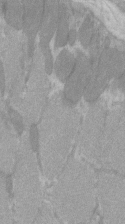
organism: C57BL Mouse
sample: Tibialis anterior muscle cell